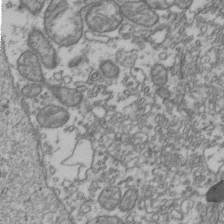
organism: Human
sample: Activated Jurkat CD4+ T cells